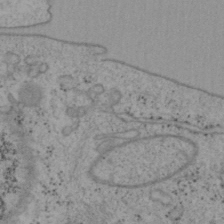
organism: Human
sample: HeLa cells